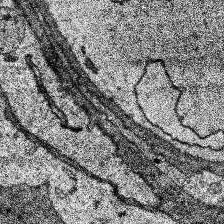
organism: Human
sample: Temporal Lobe